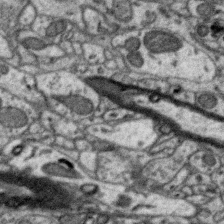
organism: Zebra finch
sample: Brain